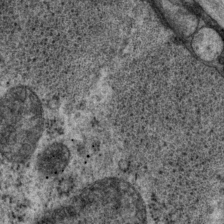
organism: P. pacificus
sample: Pharynx